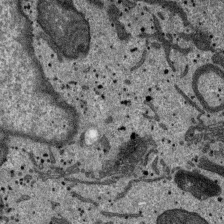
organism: Human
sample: Lung epithelial cells, uninfected (mock) control